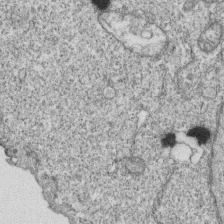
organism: Human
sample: HeLa cell HIV synapse